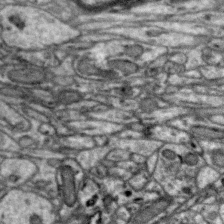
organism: Zebra finch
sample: Brain